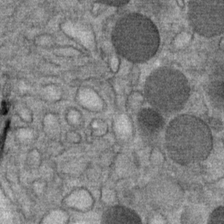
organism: Mouse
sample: Mouse Salivary gland